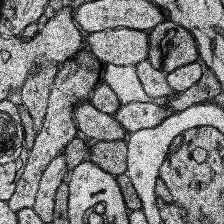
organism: Human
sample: Temporal Lobe